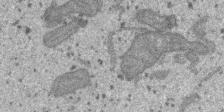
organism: Human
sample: Lung epithelial cells infected with SARS-CoV-2